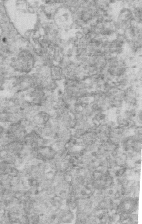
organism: Mouse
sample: Multiciliated cells